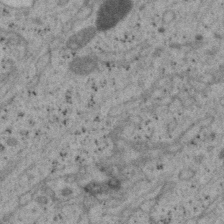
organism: Human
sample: HeLa cells